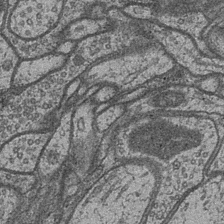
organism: Drosophila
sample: Optic medulla